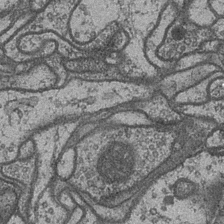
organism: Drosophila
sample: Optic medulla